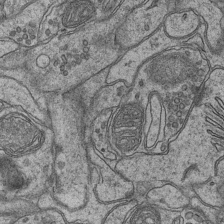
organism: Mouse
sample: CA1 Hippocampus